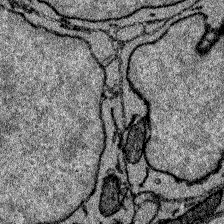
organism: Zebrafish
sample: Larval olfactory bulb